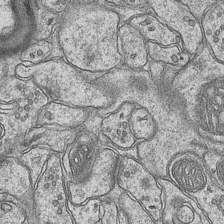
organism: Mouse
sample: CA1 Hippocampus